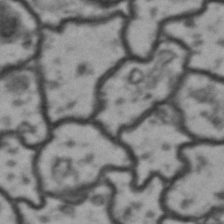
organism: Drosophila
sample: Brain